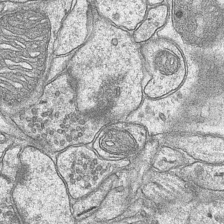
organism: Mouse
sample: CA1 Hippocampus